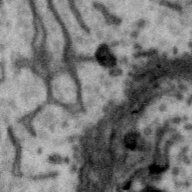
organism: Zebra finch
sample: Brain